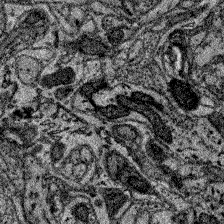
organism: Zebrafish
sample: Larval olfactory bulb